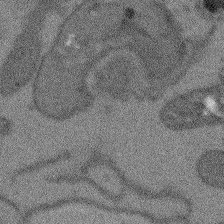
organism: Arabidopsis thaliana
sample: Root tip